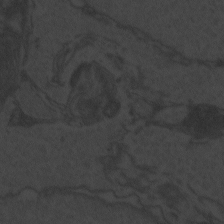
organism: Zebrafish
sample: Macrophage infected with Toxoplasma gondii